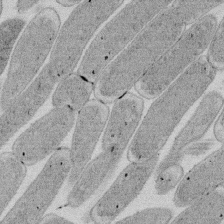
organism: E. coli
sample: Bacterial nucleoid